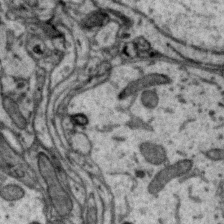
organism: Zebra finch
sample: Brain